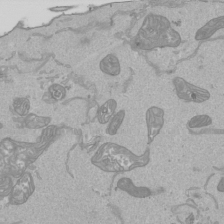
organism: Human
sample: Mitochondria in HCT116 cells